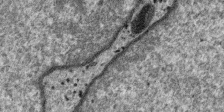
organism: Human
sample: Lung epithelial cells, uninfected (mock) control